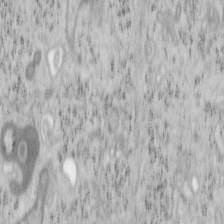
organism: Human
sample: HeLa cells